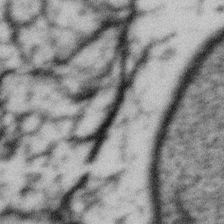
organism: Gemmata obscuriglobus